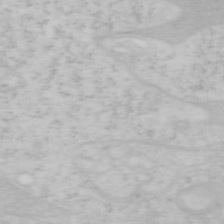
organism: Mouse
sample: OT-I killer T cells with ID8 ovarian cancer cells